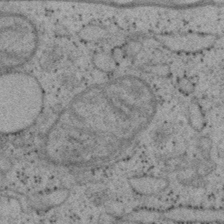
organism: Human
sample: HeLa cells